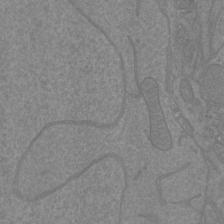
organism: Mouse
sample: Cortical neurons